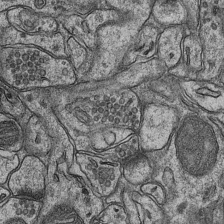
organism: Mouse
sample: CA1 Hippocampus